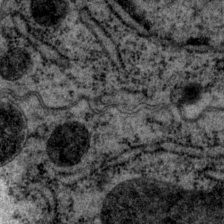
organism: P. pacificus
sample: Pharynx